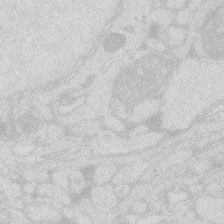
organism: Zebrafish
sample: Macrophage